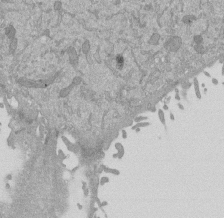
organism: Mouse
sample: ED-1 cell nuclei; centrioles